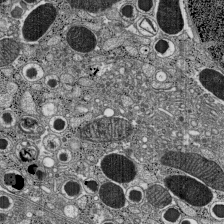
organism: C57BL Mouse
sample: Pancreatic islet